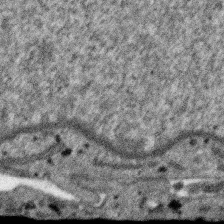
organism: Human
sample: Lung epithelial cells infected with SARS-CoV-2